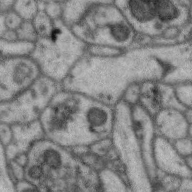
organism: Zebra finch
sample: Brain